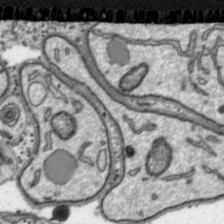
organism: Toxoplasma gondii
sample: Parasites in a vacuole inside a host cell